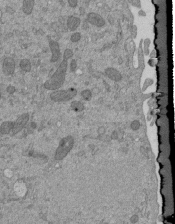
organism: Mouse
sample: ED-1 cell nuclei; centrioles